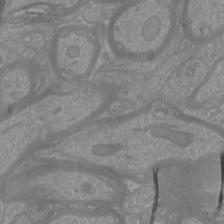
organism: Mouse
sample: Cortical neurons